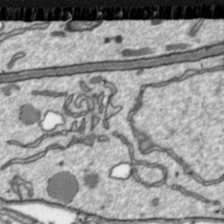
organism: Toxoplasma gondii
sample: Parasites in a vacuole inside a host cell